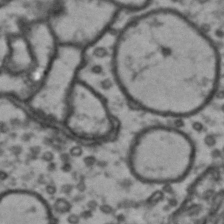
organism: Drosophila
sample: Brain